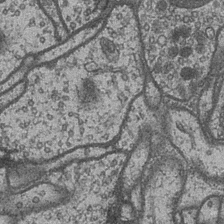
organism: Drosophila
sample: Optic medulla